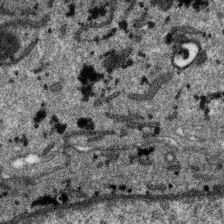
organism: Human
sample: Lung epithelial cells infected with SARS-CoV-2